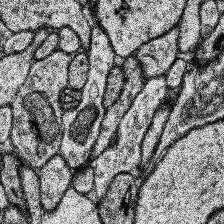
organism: Human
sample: Temporal Lobe